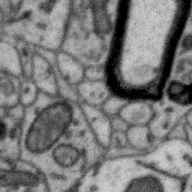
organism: Zebra finch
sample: Brain